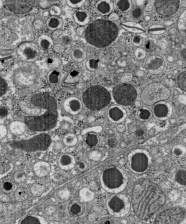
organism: C57BL Mouse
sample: Pancreatic islet